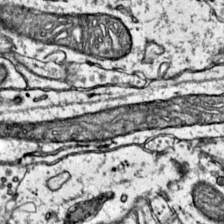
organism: Mouse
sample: Primary visual cortex